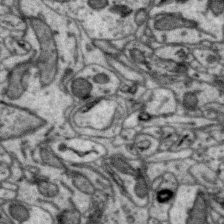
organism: Zebra finch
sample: Brain